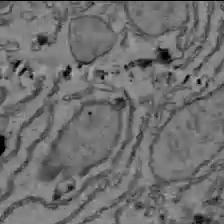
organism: C57BL Mouse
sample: Liver